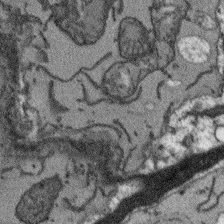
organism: Arabidopsis thaliana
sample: Root tip